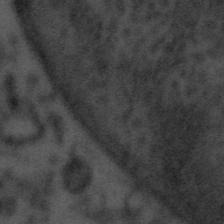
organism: Tuwongella immobilis